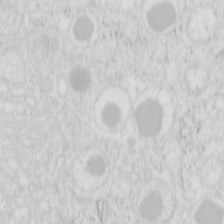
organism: Mouse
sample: Pancreas